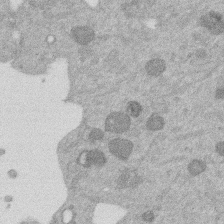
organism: Mouse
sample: Dividing mouse embryo 1 cell stage